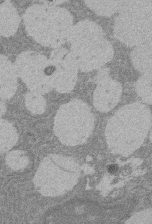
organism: Rat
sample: Salivary granule